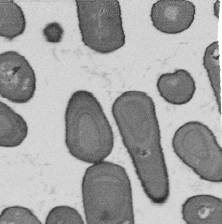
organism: B. subtilis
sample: Bacterial spore